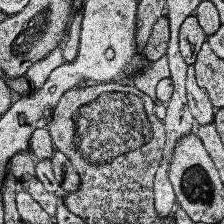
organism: Human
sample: Temporal Lobe